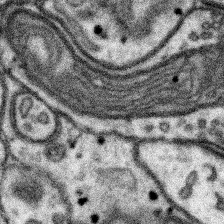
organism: Mouse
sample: Somatosensory cortex neuropil